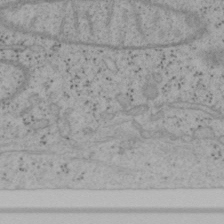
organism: Human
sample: HeLa cells